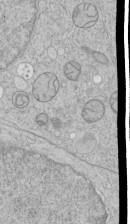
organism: Human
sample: Mitochondria in HCT116 cells